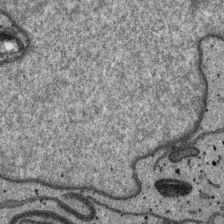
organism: Human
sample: Lung epithelial cells, uninfected (mock) control